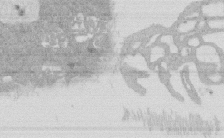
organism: Rat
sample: Salivary granule